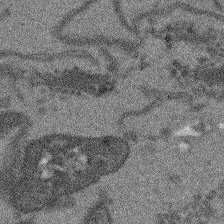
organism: Arabidopsis thaliana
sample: Root tip